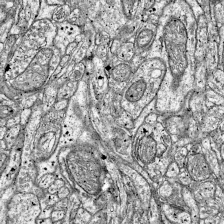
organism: Mouse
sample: Visual Cortex